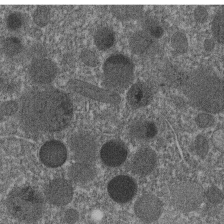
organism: C. elegans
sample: C. elegans embryo early stage